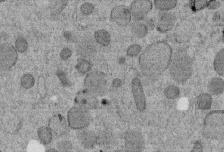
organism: C. elegans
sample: C. elegans embryo early stage